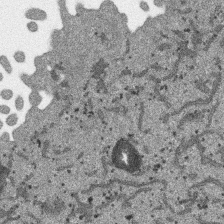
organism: Human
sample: Lung epithelial cells infected with SARS-CoV-2